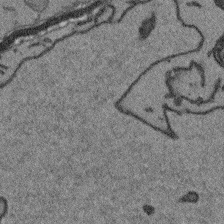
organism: Arabidopsis thaliana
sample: Root tip